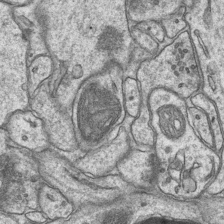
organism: Mouse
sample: CA1 Hippocampus